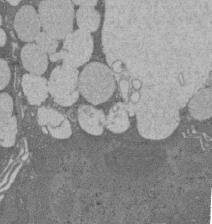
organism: Rat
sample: Salivary granule